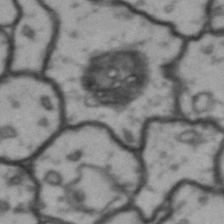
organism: Drosophila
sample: Brain